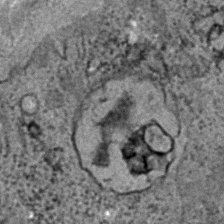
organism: C. elegans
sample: C. elegans embryo